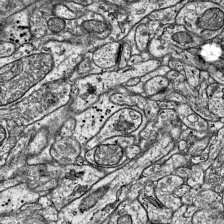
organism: Mouse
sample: Visual Cortex